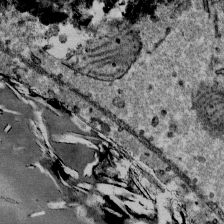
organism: Mouse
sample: Mouse Salivary gland